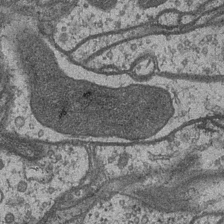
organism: Drosophila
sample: Optic medulla